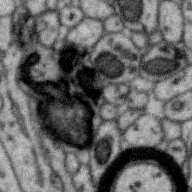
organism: Zebra finch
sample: Brain